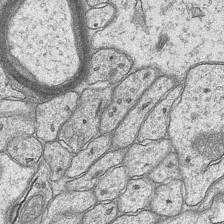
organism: Mouse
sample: CA1 Hippocampus